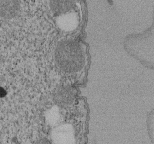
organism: Tetrahymena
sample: Cilia in tetrahymena